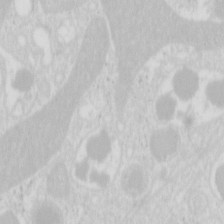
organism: Mouse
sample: Pancreas